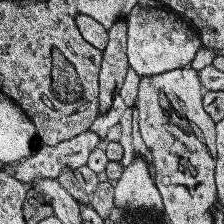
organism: Human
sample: Temporal Lobe